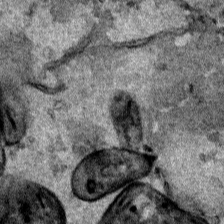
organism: Human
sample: Mitochondria in HCT116 cells